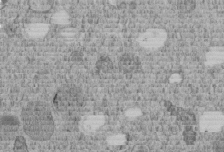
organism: C. elegans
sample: C. elegans embryo early stage